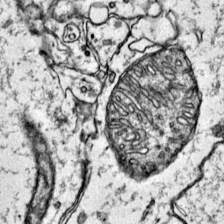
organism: Mouse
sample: Primary visual cortex